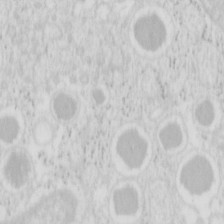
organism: Mouse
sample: Pancreas